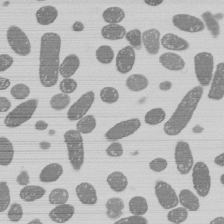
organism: E. coli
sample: Bacterial nucleoid